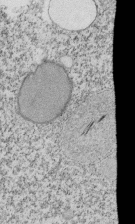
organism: Tetrahymena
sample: Cilia in tetrahymena